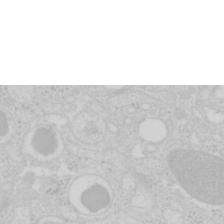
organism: Mouse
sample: Pancreas